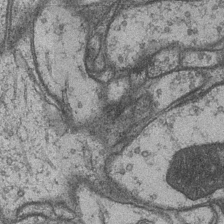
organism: Drosophila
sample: Optic medulla